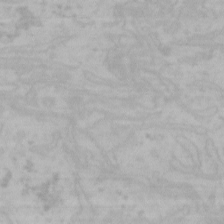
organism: Mouse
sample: Choroid plexus